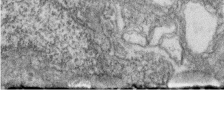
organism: Zebrafish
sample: Cilia; retinal pigment epithelium